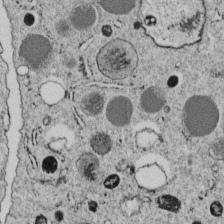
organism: C. elegans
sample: C. elegans embryo early stage